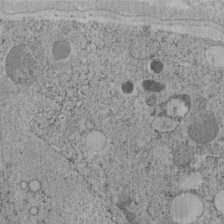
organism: C. elegans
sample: C. elegans embryo early stage